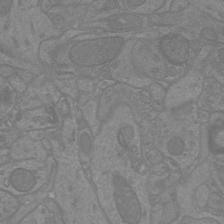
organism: Mouse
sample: Cortical neurons